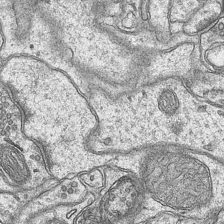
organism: Mouse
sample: CA1 Hippocampus